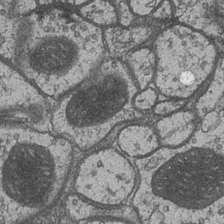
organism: Drosophila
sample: Optic medulla